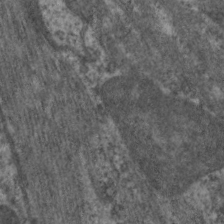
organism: C. elegans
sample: Pharynx